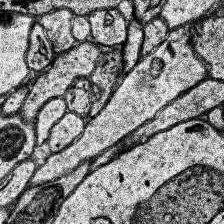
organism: Human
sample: Temporal Lobe